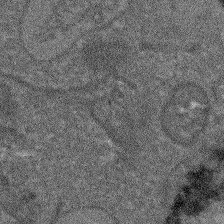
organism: Arabidopsis thaliana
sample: Root tip